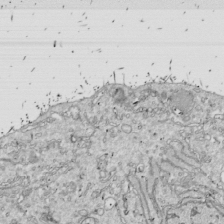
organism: Drosophila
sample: Cell division; meiosis; drosophila spermatocytes